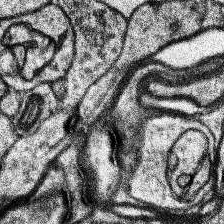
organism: Human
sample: Temporal Lobe